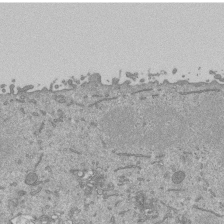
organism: Mouse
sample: ED-1 cell nuclei; centrioles